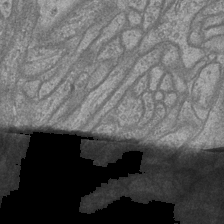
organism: Drosophila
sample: Optic medulla